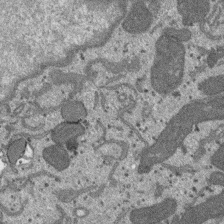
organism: Human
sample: Lung epithelial cells infected with SARS-CoV-2